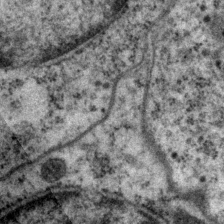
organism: P. pacificus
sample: Pharynx